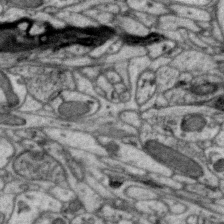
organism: Zebra finch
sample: Brain